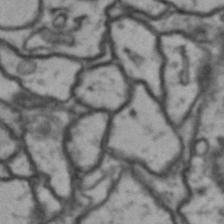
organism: Drosophila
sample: Brain